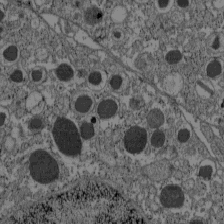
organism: C57BL Mouse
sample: Pancreatic islet